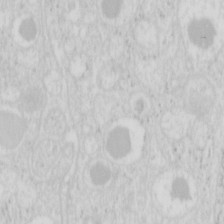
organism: Mouse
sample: Pancreas